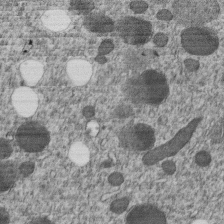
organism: C. elegans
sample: C. elegans embryo early stage